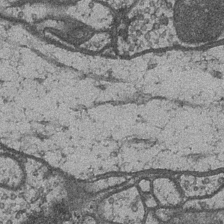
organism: Drosophila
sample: Optic medulla